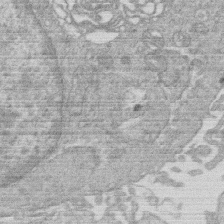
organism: Human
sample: Macrophage cells